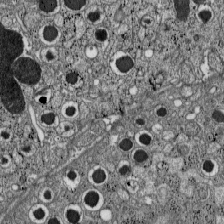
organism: C57BL Mouse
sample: Pancreatic islet